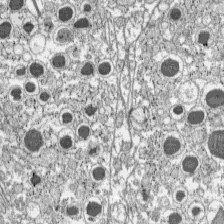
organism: C57BL Mouse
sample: Pancreatic islet